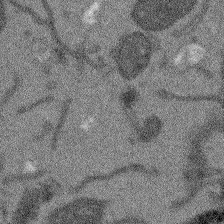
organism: Arabidopsis thaliana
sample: Root tip